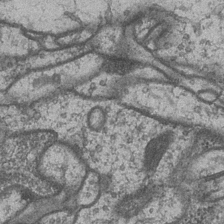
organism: Drosophila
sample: Optic medulla